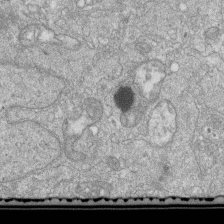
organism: Human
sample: HeLa cell HIV synapse